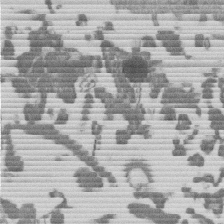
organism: Mouse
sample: Dividing mouse embryo 1 cell stage